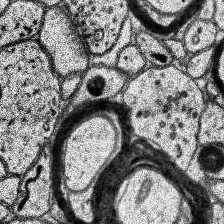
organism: Human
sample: Temporal Lobe